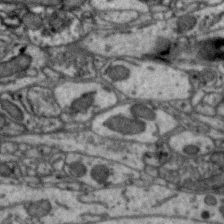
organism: Zebra finch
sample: Brain